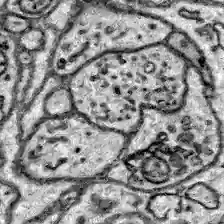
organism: Zebrafish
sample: Brain